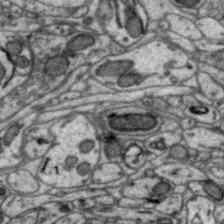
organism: Zebra finch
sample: Brain